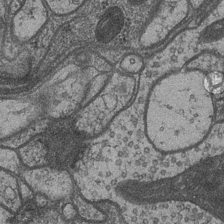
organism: Drosophila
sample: Optic medulla